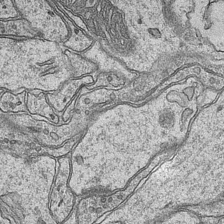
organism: Mouse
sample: CA1 Hippocampus